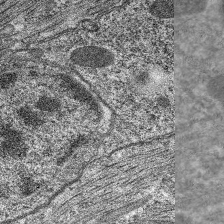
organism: C. elegans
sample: Pharynx